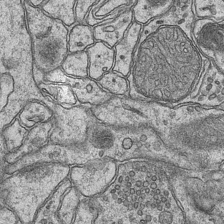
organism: Mouse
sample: CA1 Hippocampus